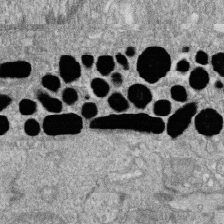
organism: Zebrafish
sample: Cilia; retinal pigment epithelium